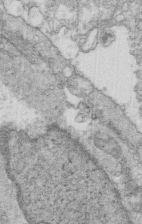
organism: Mouse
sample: Multiciliated cells